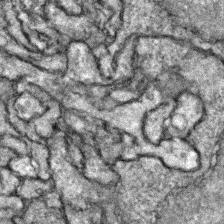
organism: Zebrafish